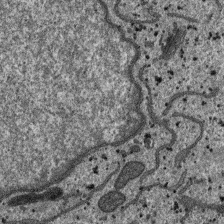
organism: Human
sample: Lung epithelial cells infected with SARS-CoV-2